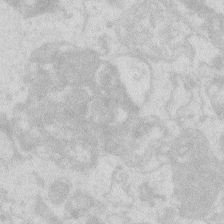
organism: Zebrafish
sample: Macrophage